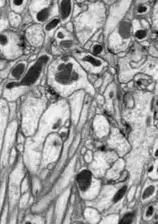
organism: Drosophila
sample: Optic lobe